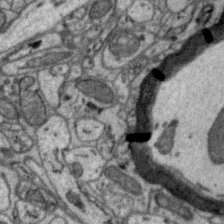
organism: Zebra finch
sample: Brain